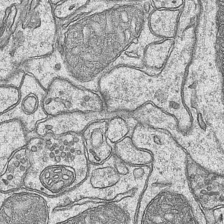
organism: Mouse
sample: CA1 Hippocampus